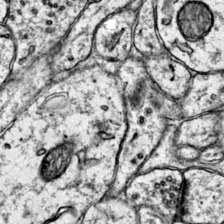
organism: Mouse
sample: Primary visual cortex